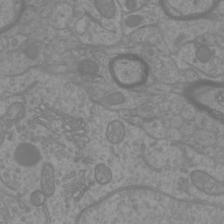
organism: Mouse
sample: Cortical neurons